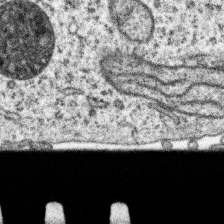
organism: Human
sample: HeLa cells